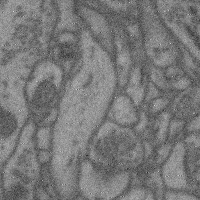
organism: Mouse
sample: Cerebral cortex